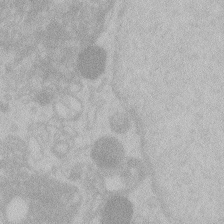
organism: Zebrafish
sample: Macrophage infected with Toxoplasma gondii